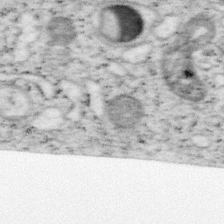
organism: Mouse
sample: OT-I killer T cells with ID8 ovarian cancer cells